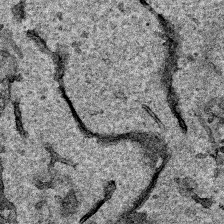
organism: Human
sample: Mitochondria in HCT116 cells